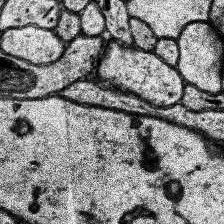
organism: Human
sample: Temporal Lobe